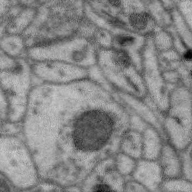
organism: Zebra finch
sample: Brain